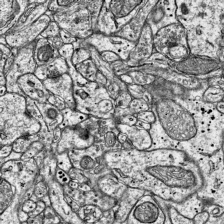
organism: Mouse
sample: Visual Cortex